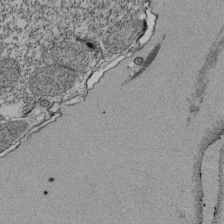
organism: Tetrahymena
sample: Cilia in tetrahymena